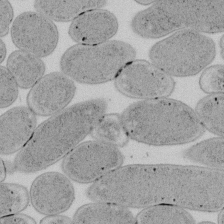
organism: E. coli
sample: Bacterial nucleoid